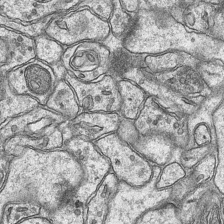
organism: Mouse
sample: CA1 Hippocampus